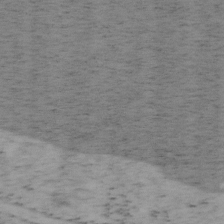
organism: Mouse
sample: OT-I killer T cells with ID8 ovarian cancer cells